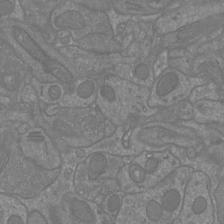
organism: Mouse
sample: Cortical neurons